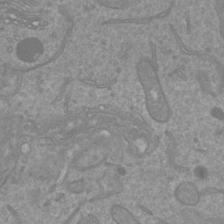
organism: Mouse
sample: Cortical neurons